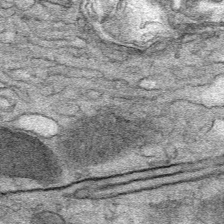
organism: Mouse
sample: Mouse Salivary gland